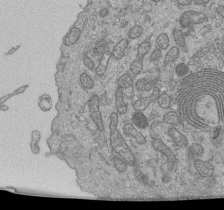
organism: Human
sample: Retinal organoid Rod and Cone cells